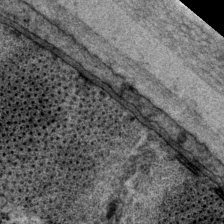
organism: P. pacificus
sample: Pharynx